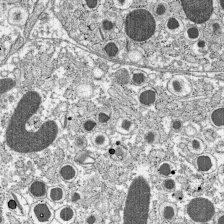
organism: C57BL Mouse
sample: Pancreatic islet